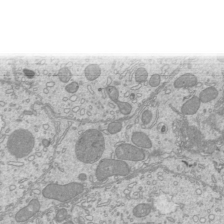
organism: Mouse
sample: Cilia; mouse epididymis